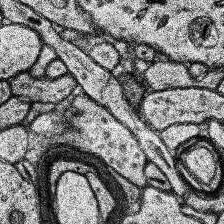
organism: Human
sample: Temporal Lobe